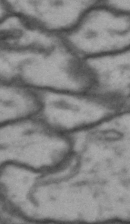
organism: Drosophila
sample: Brain